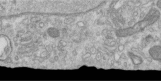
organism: Human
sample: Centriole in RPE cells